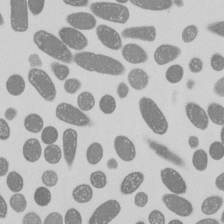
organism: E. coli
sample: Bacterial nucleoid